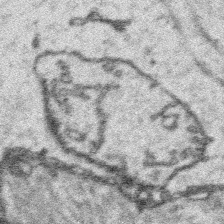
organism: Platynereis dumerilii